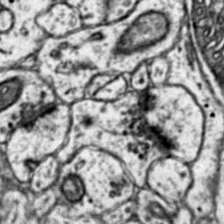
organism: Mouse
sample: Primary visual cortex